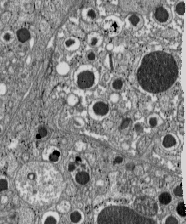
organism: C57BL Mouse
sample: Pancreatic islet